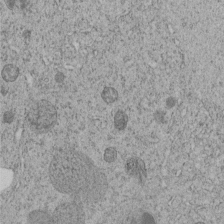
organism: C. elegans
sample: C. elegans embryo early stage